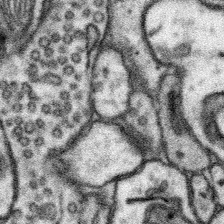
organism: Mouse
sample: Somatosensory cortex neuropil